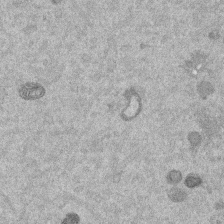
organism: Mouse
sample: Dividing mouse embryo 1 cell stage